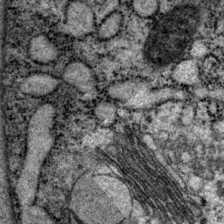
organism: P. pacificus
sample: Pharynx